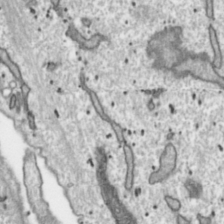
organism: Toxoplasma gondii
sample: Parasites in a vacuole inside a host cell